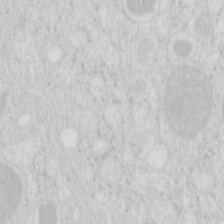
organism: Mouse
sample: Pancreas